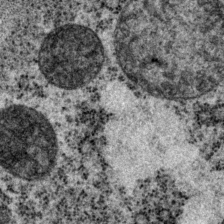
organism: P. pacificus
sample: Pharynx